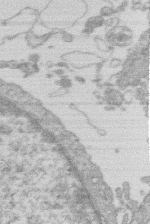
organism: Human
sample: Macrophage cells